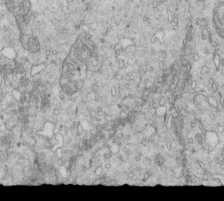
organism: Mouse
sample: Multiciliated cells